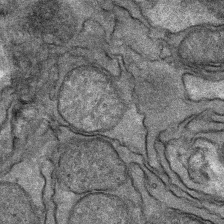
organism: Mouse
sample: Mouse Salivary gland